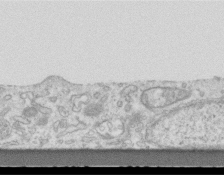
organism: Mouse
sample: Centriole in ependymal cells